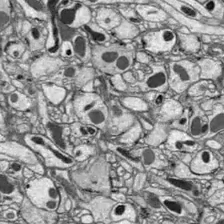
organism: Drosophila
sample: Optic lobe